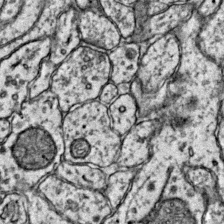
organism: Mouse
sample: Primary visual cortex